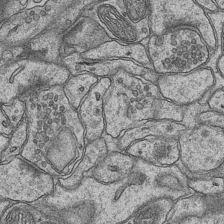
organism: Mouse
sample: CA1 Hippocampus